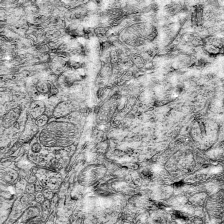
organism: Mouse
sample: Visual Cortex